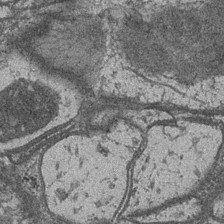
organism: Drosophila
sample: Optic medulla